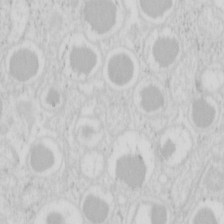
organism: Mouse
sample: Pancreas